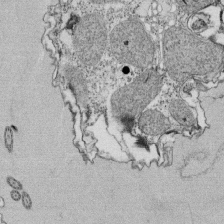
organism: Tetrahymena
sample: Cilia in tetrahymena